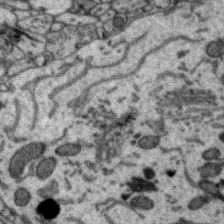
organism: Zebra finch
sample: Brain